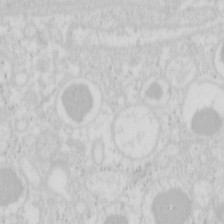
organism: Mouse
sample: Pancreas